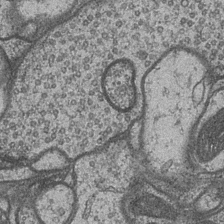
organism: Drosophila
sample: Optic medulla